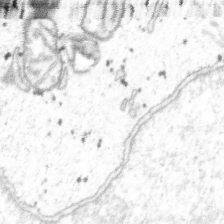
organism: Human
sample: HeLa cells